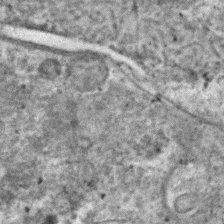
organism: C. elegans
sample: C. elegans embryo